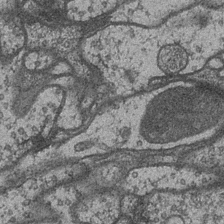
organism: Drosophila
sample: Optic medulla